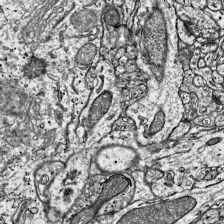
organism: Mouse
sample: Visual Cortex